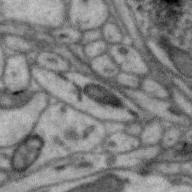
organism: Zebra finch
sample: Brain